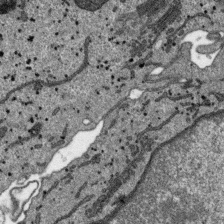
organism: Human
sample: Lung epithelial cells, uninfected (mock) control